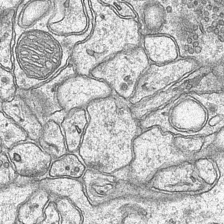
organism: Mouse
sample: CA1 Hippocampus